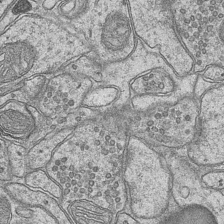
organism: Mouse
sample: CA1 Hippocampus